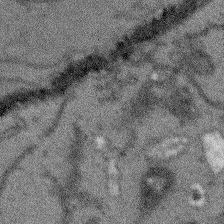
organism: Arabidopsis thaliana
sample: Root tip